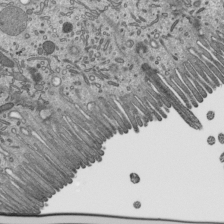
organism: Mouse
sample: Mouse epididymis efferent ductule cilia